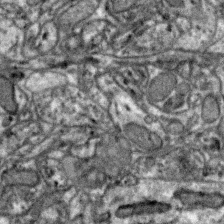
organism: Zebra finch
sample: Brain